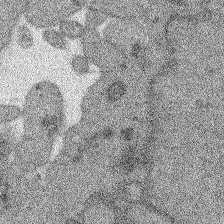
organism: Human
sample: HeLa cells